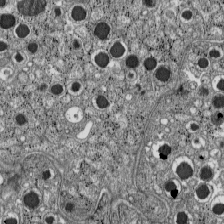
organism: C57BL Mouse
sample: Pancreatic islet